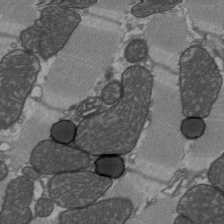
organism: C57BL Mouse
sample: Heart